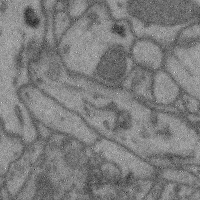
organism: Mouse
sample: Cerebral cortex